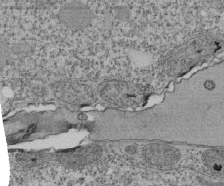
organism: Tetrahymena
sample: Cilia in tetrahymena